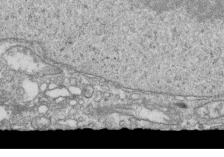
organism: Human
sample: HeLa cell HIV synapse